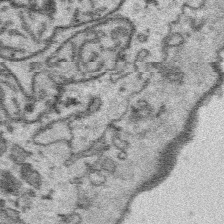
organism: Platynereis dumerilii